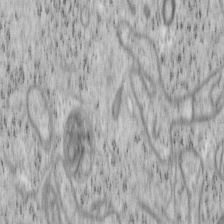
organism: Human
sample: HeLa cells